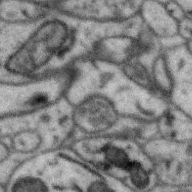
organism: Zebra finch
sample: Brain